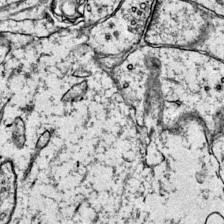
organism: Mouse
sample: Primary visual cortex